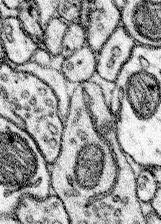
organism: Mouse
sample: Somatosensory cortex neuropil